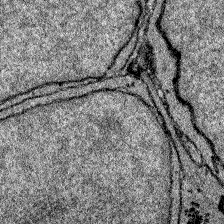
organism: Zebrafish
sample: Larval olfactory bulb